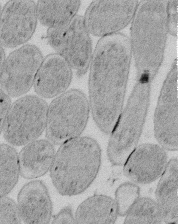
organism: E. coli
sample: Bacterial nucleoid